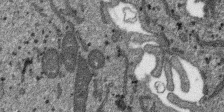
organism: Human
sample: Lung epithelial cells infected with SARS-CoV-2